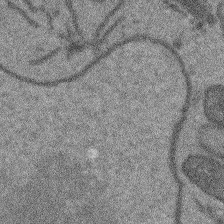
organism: Arabidopsis thaliana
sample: Root tip